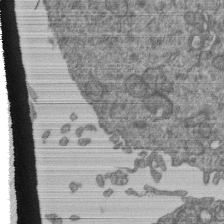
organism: Human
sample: Retinal organoid Rod and Cone cells